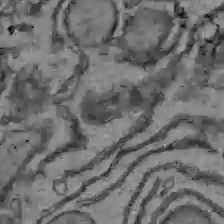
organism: C57BL Mouse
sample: Liver